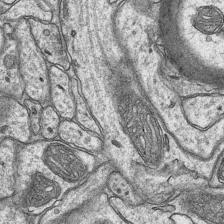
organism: Mouse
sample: CA1 Hippocampus